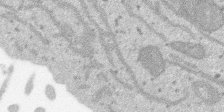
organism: Human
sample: Lung epithelial cells infected with SARS-CoV-2